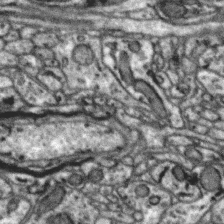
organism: Zebra finch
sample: Brain